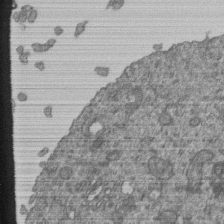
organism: Human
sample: Retinal organoid Rod and Cone cells